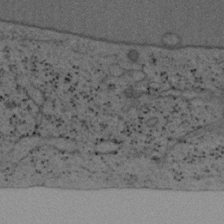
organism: Human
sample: HeLa cells